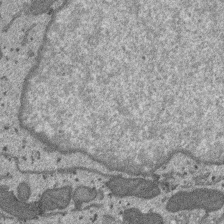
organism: Human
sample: Lung epithelial cells infected with SARS-CoV-2